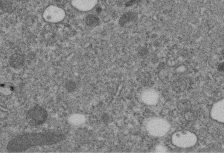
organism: C. elegans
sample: C. elegans embryo early stage